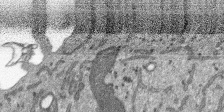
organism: Human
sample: Lung epithelial cells infected with SARS-CoV-2